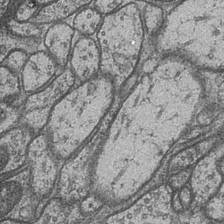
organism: Drosophila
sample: Optic medulla